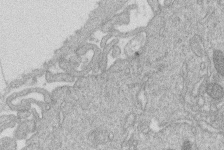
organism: Human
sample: Macrophage cells